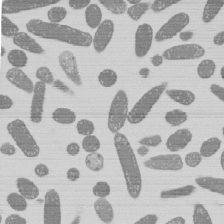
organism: E. coli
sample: Bacterial nucleoid